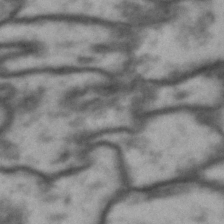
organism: Drosophila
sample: Brain